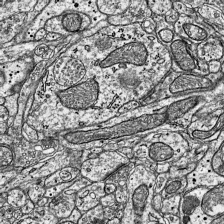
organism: Mouse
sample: Visual Cortex